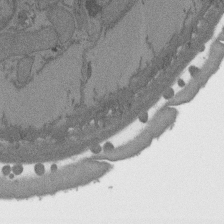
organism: C. elegans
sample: AFD neurons C. elegans